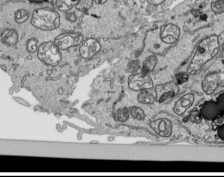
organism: Human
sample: Mitochondria in HCT116 cells